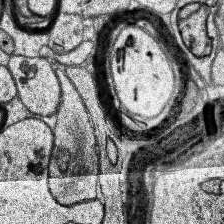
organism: Human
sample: Temporal Lobe